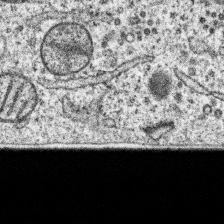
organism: Human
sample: HeLa cells